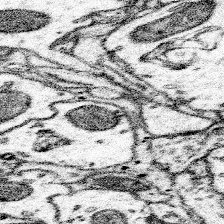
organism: Mouse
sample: Somatosensory cortex neuropil